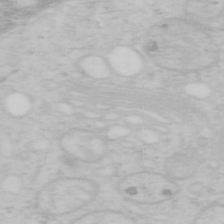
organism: Mouse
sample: OT-I killer T cells with ID8 ovarian cancer cells